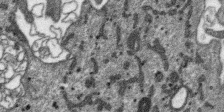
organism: Human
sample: Lung epithelial cells infected with SARS-CoV-2